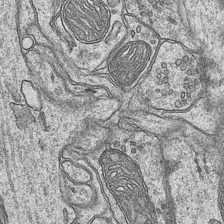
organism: Mouse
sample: CA1 Hippocampus